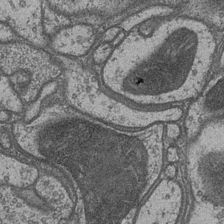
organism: Drosophila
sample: Optic medulla